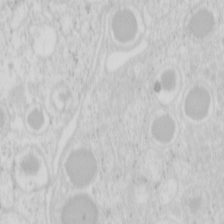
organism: Mouse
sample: Pancreas